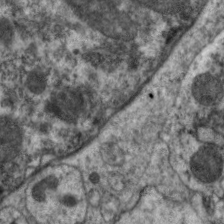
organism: C. elegans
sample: Pharynx